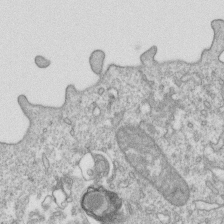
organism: Mouse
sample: Activated OT-1 CD8+ T cells